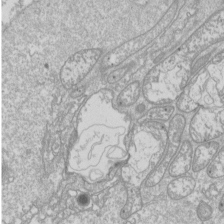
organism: Drosophila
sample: Cell division; meiosis; drosophila spermatocytes